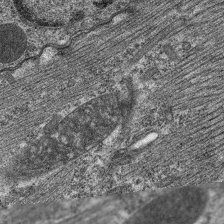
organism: C. elegans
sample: Pharynx